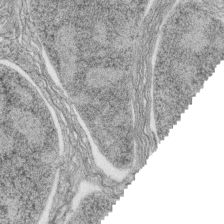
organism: Zebrafish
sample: synaptic ribbons in rod cells and cone cells